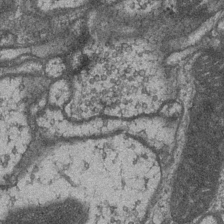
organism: Drosophila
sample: Optic medulla